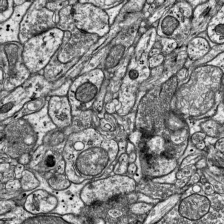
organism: Mouse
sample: Visual Cortex